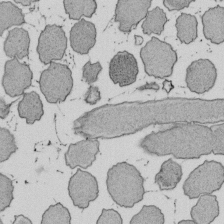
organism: E. coli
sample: Bacterial nucleoid